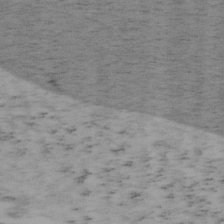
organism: Mouse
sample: OT-I killer T cells with ID8 ovarian cancer cells